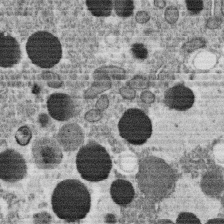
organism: C. elegans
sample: C. elegans oocyte; sperm cells